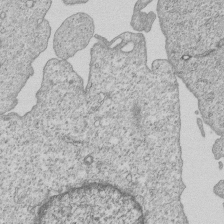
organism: Human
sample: MDA-MB-231 cells